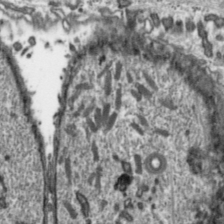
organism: Toxoplasma gondii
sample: Parasites in a vacuole inside a host cell